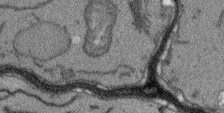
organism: Arabidopsis thaliana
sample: Root tip